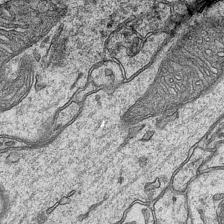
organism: Mouse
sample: CA1 Hippocampus